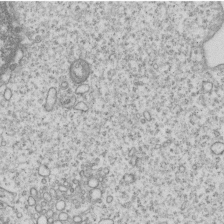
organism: Human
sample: MDA-MB-231 cells